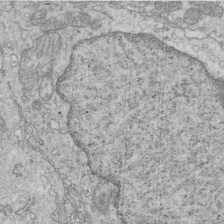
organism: Mouse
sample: Multiciliated cells